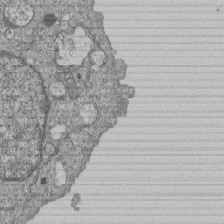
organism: Human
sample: MDA-MB-231 cells